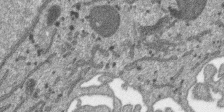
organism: Human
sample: Lung epithelial cells infected with SARS-CoV-2